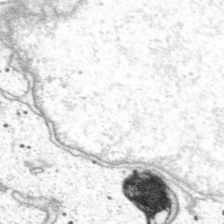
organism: Human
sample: HeLa cells